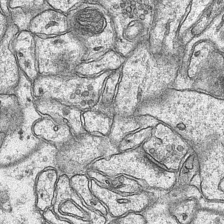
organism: Mouse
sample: CA1 Hippocampus